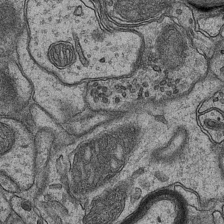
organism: Mouse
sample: CA1 Hippocampus